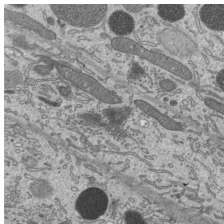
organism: Mouse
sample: Mouse epididymis efferent ductule cilia